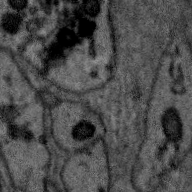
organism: Zebra finch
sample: Brain